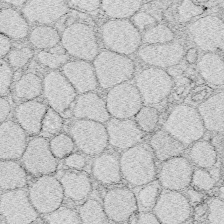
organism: Zebrafish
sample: Whole-Brain